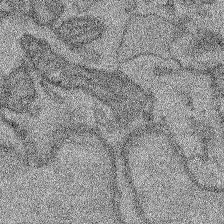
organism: Human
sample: HeLa cells